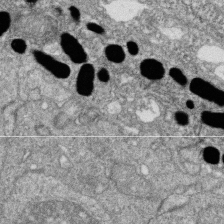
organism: Zebrafish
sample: Cilia; retinal pigment epithelium